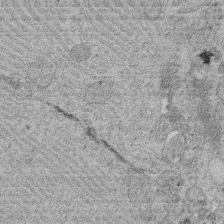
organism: Rat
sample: Salivary granule